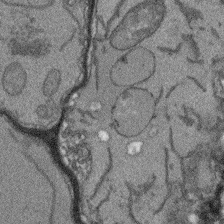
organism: Arabidopsis thaliana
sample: Root tip